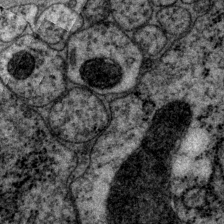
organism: P. pacificus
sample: Pharynx